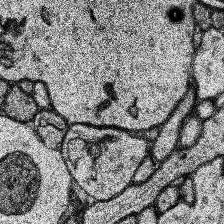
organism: Human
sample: Temporal Lobe